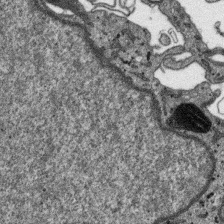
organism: Human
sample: Lung epithelial cells infected with SARS-CoV-2